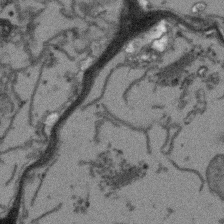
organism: Arabidopsis thaliana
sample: Root tip